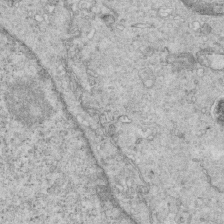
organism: Mouse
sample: Multiciliated cells